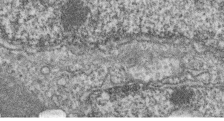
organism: Zebrafish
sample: Cilia; retinal pigment epithelium